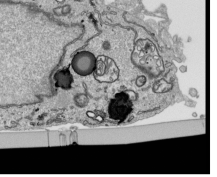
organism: Human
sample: Mitochondria in HCT116 cells